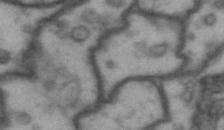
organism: Drosophila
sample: Brain